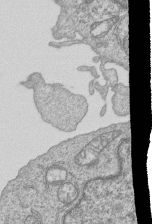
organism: Human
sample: MDA-MB-231 cells